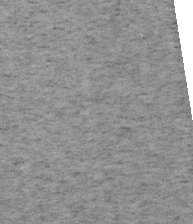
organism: Mouse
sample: OT-I killer T cells with ID8 ovarian cancer cells